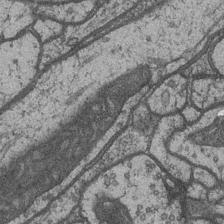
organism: Drosophila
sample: Optic medulla